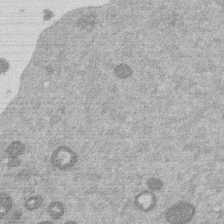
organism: Mouse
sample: Dividing mouse embryo 1 cell stage